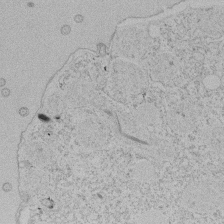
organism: Tetrahymena